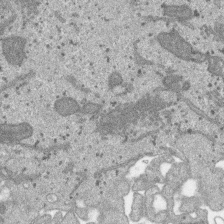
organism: Human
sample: Lung epithelial cells infected with SARS-CoV-2